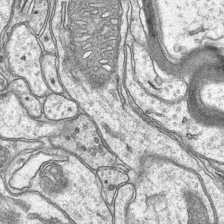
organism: Mouse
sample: CA1 Hippocampus